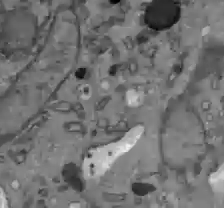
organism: C57BL Mouse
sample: Liver